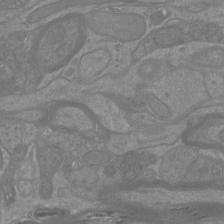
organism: Mouse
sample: Cortical neurons